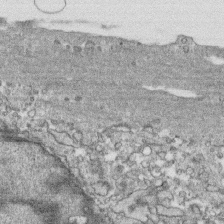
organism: Human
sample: CRL-1474